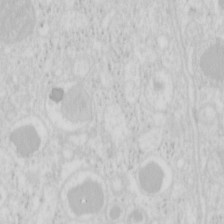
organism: Mouse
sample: Pancreas